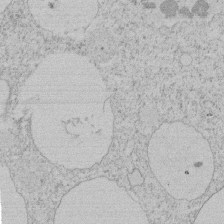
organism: Tetrahymena